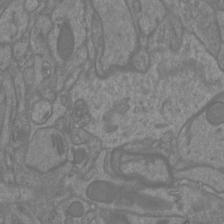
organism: Mouse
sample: Cortical neurons